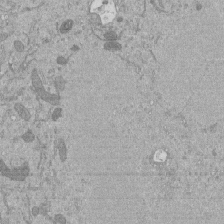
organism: Mouse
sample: ED-1 cell nuclei; centrioles